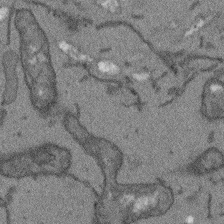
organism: Arabidopsis thaliana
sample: Root tip